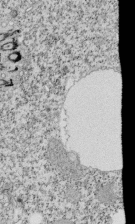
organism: Tetrahymena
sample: Cilia in tetrahymena